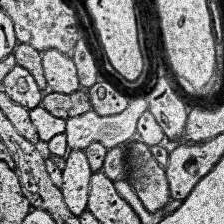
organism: Human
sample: Temporal Lobe